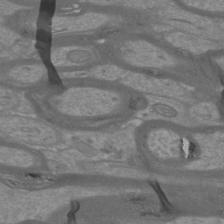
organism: Mouse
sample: Cortical neurons